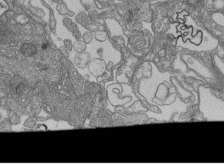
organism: Human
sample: Retinal organoid Rod and Cone cells